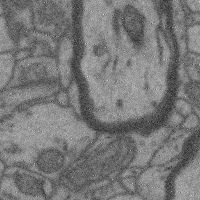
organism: Mouse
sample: Cerebral cortex